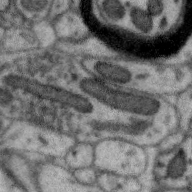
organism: Zebra finch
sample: Brain